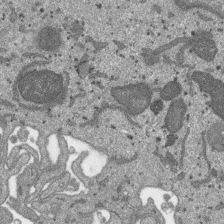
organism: Human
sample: Lung epithelial cells infected with SARS-CoV-2